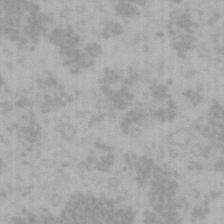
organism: Mouse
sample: Choroid plexus